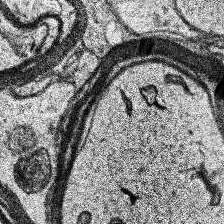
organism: Human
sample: Temporal Lobe